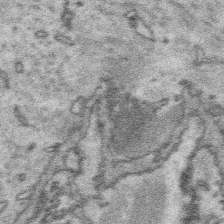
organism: Platynereis dumerilii